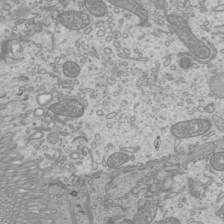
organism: Mouse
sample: Cilia; mouse epididymis